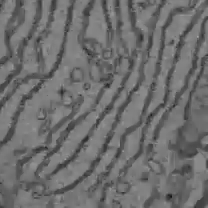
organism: C57BL Mouse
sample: Liver